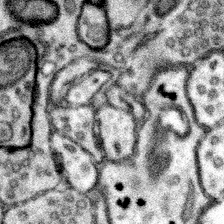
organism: Mouse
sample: Somatosensory cortex neuropil